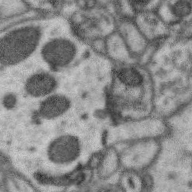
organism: Zebra finch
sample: Brain